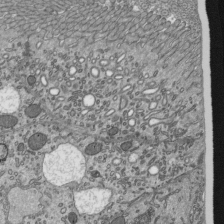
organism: Mouse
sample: Mouse epididymis efferent ductule cilia